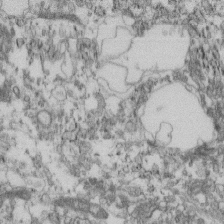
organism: Mouse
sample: Cilia; retinal pigment epithelium